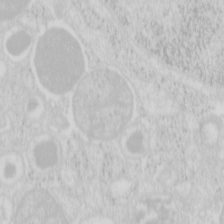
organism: Mouse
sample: Pancreas